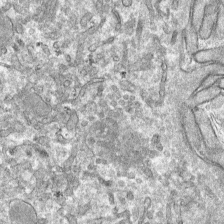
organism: Mouse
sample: Mouse hepatocytes